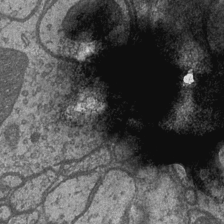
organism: Drosophila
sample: Optic medulla